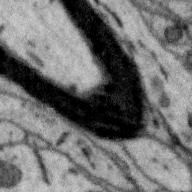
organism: Zebra finch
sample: Brain